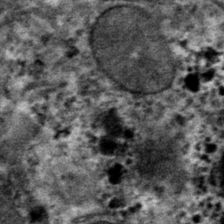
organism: Mouse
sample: Mouse hepatocytes